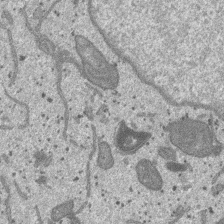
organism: Human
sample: Lung epithelial cells infected with SARS-CoV-2